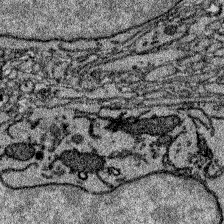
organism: Zebrafish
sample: Larval olfactory bulb